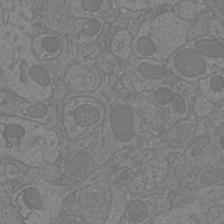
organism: Mouse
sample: Cortical neurons